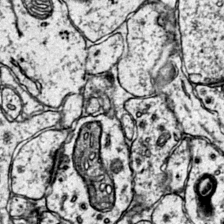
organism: Mouse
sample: Primary visual cortex